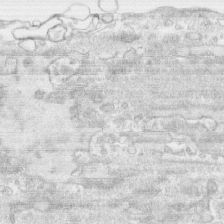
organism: Human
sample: CRL-1474